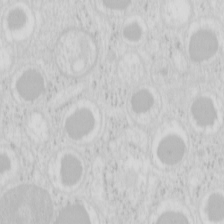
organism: Mouse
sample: Pancreas